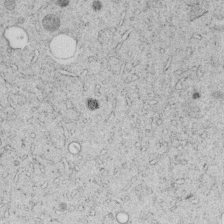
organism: C. elegans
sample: C. elegans embryo early stage